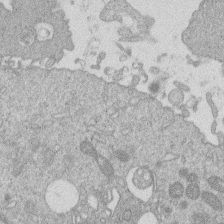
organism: Human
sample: Macrophage cells